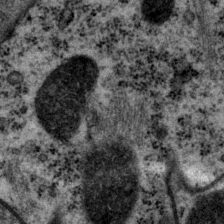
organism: P. pacificus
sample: Pharynx